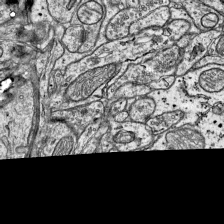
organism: Mouse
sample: Visual Cortex